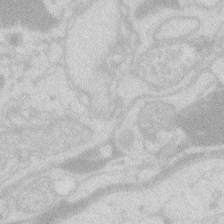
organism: Zebrafish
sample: Macrophage